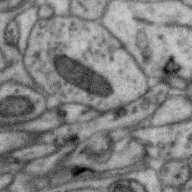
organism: Zebra finch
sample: Brain